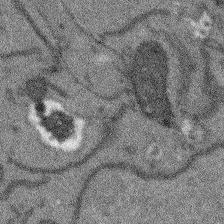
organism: Arabidopsis thaliana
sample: Root tip